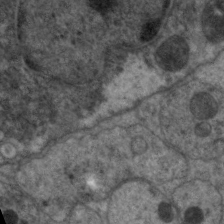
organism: C. elegans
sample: Pharynx